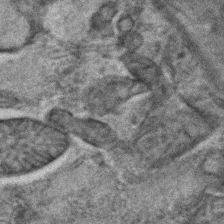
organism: C. elegans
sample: C. elegans embryo